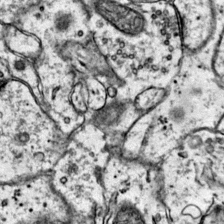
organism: Mouse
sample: Primary visual cortex